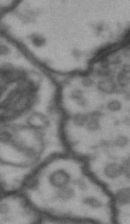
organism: Drosophila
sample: Brain